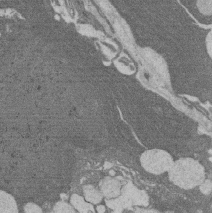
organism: Rat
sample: Salivary granule